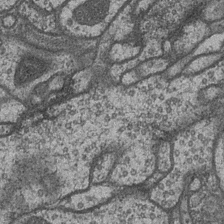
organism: Drosophila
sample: Optic medulla